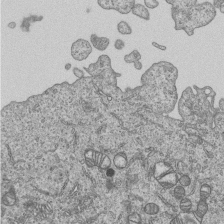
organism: Human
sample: MDA-MB-231 cells